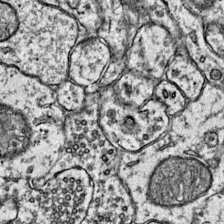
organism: Mouse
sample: Primary visual cortex